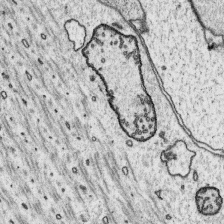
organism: Platynereis dumerilii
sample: Parapodia